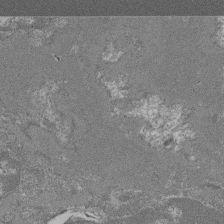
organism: Mouse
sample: Glomerulus